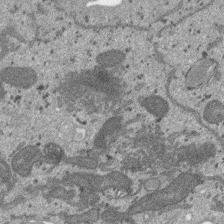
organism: Human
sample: Lung epithelial cells infected with SARS-CoV-2